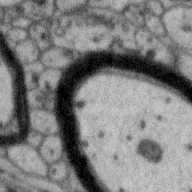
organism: Zebra finch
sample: Brain